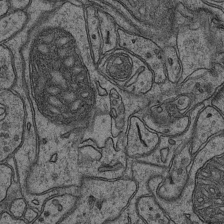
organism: Mouse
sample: CA1 Hippocampus